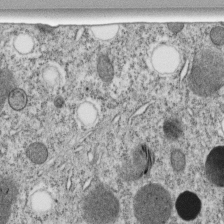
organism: C. elegans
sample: C. elegans embryo early stage